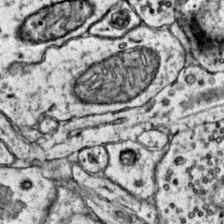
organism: Mouse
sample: Primary visual cortex